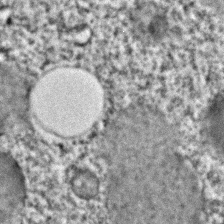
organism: C. elegans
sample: C. elegans embryo